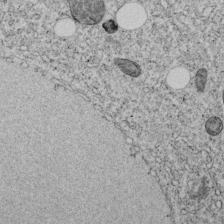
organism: C. elegans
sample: C. elegans embryo early stage